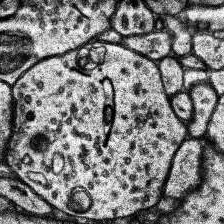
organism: Human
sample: Temporal Lobe